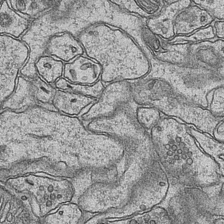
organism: Mouse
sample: CA1 Hippocampus